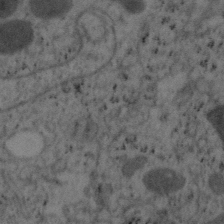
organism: Human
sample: HeLa cells